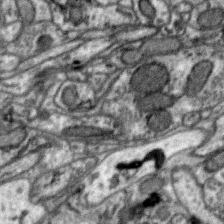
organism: Zebra finch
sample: Brain